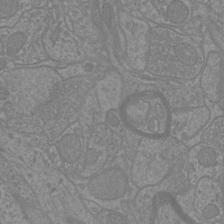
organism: Mouse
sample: Cortical neurons